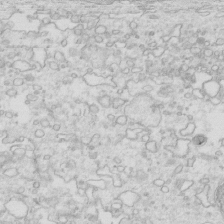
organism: Mouse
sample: Multiciliated cells